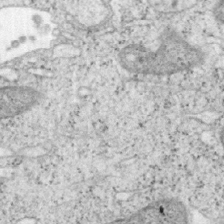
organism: Mouse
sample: OT-I killer T cells with ID8 ovarian cancer cells